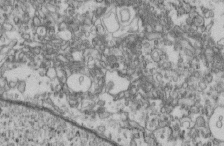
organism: Mouse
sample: Cilia; retinal pigment epithelium